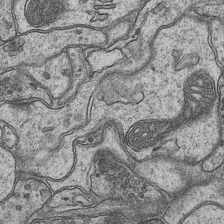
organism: Mouse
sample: CA1 Hippocampus